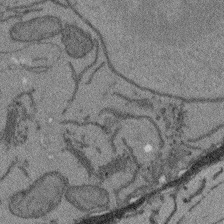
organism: Arabidopsis thaliana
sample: Root tip